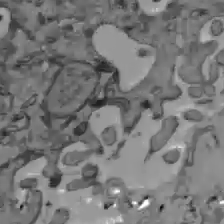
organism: C57BL Mouse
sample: Liver